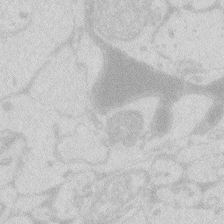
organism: Zebrafish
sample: Macrophage